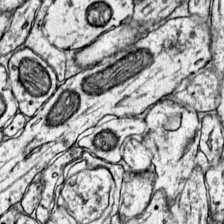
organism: Mouse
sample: Primary visual cortex